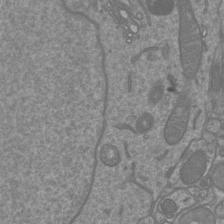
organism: Mouse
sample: Cortical neurons